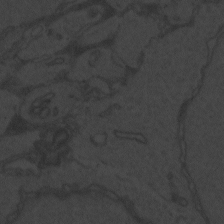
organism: Zebrafish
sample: Macrophage infected with Toxoplasma gondii